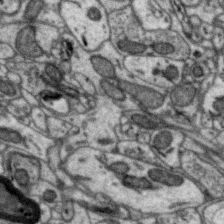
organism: Zebra finch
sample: Brain